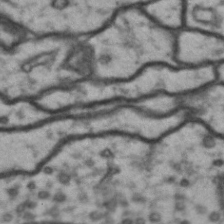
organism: Drosophila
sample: Brain